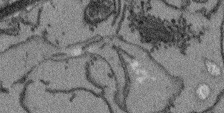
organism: Arabidopsis thaliana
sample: Root tip